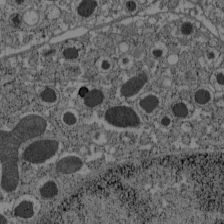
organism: C57BL Mouse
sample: Pancreatic islet